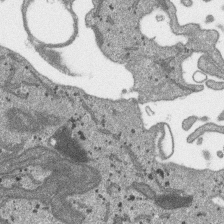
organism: Human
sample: Lung epithelial cells infected with SARS-CoV-2